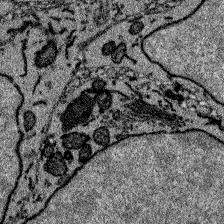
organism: Zebrafish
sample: Larval olfactory bulb